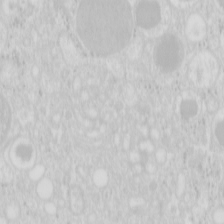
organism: Mouse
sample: Pancreas